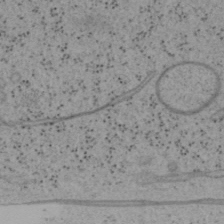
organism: Human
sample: HeLa cells